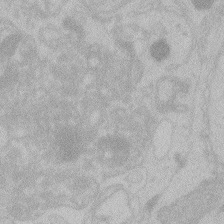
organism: Zebrafish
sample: Macrophage infected with Toxoplasma gondii